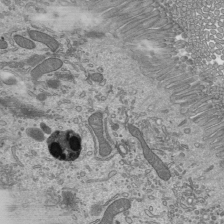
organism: Mouse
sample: Mouse epididymis efferent ductule cilia